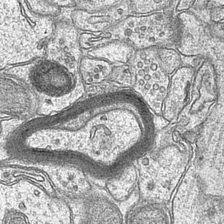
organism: Mouse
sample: CA1 Hippocampus